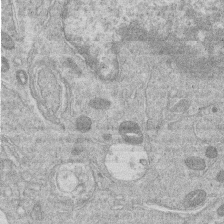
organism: Human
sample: Macrophage cells